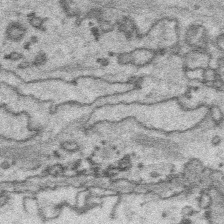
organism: Platynereis dumerilii